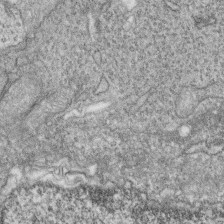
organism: Zebrafish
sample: Cilia; retinal pigment epithelium